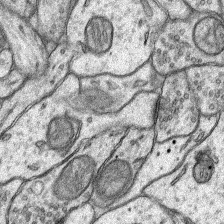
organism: Rat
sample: Hippocampus